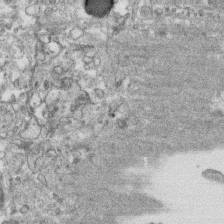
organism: Human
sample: CRL-1474